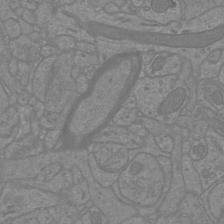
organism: Mouse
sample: Cortical neurons